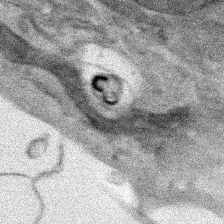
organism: Human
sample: Mitochondria in HCT116 cells